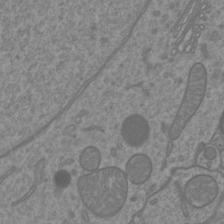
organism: Mouse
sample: Cortical neurons